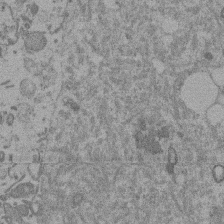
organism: Mouse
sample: Dividing mouse embryo 1 cell stage